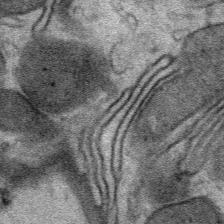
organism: Mouse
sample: Mouse Salivary gland